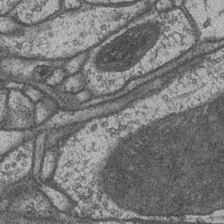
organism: Drosophila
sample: Optic medulla